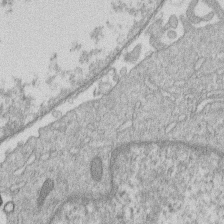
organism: Human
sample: Macrophage cells